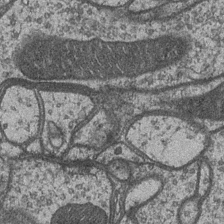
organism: Drosophila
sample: Optic medulla